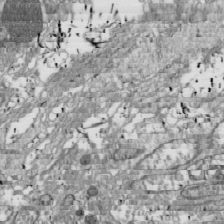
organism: Drosophila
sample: Cell division; meiosis; drosophila spermatocytes